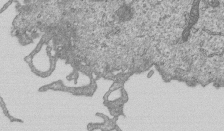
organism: Human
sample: MDA-MB-231 cells